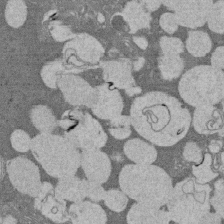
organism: Rat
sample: Salivary granule